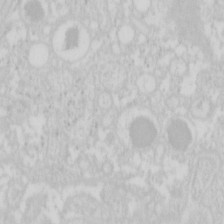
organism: Mouse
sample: Pancreas